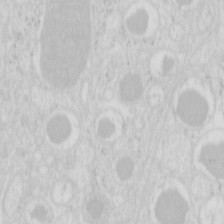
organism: Mouse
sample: Pancreas